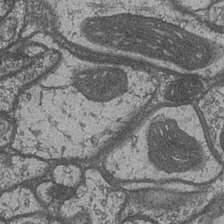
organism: Drosophila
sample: Optic medulla